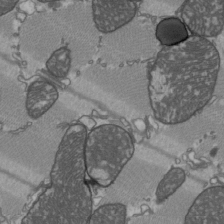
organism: C57BL Mouse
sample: Heart